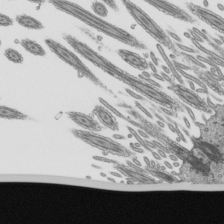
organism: Mouse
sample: Mouse epididymis efferent ductule cilia